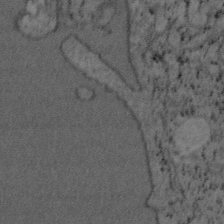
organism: Human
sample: HeLa cells